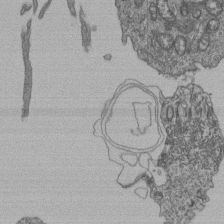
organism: Human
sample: Retinal organoid Rod and Cone cells